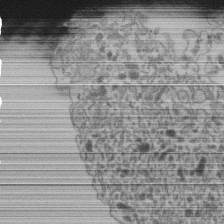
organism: Human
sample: Retinal organoid Rod and Cone cells